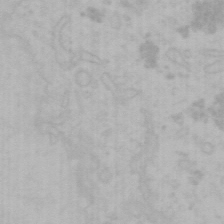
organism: Mouse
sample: Choroid plexus